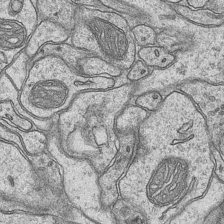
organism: Mouse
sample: CA1 Hippocampus